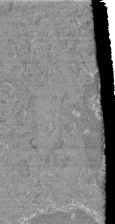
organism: Mouse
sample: Glomerulus